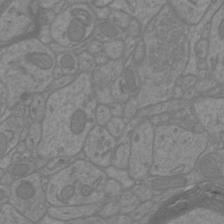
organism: Mouse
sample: Cortical neurons